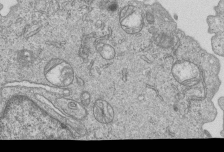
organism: Human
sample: MDA-MB-231 cells